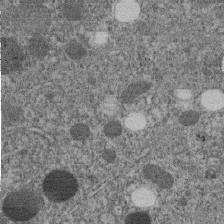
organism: C. elegans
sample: C. elegans embryo early stage